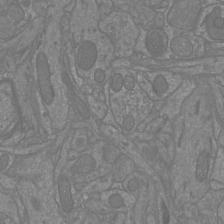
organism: Mouse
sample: Cortical neurons